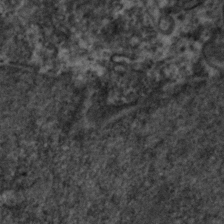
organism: Zebrafish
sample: Zebrafish embryo